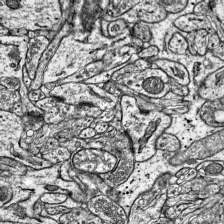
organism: Mouse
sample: Visual Cortex